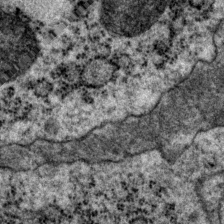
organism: P. pacificus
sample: Pharynx